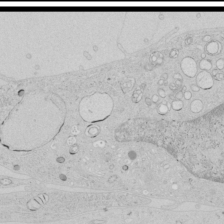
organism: Human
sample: Mitochondria in HCT116 cells